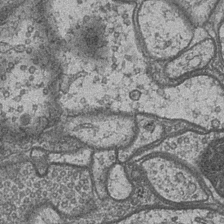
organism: Drosophila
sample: Optic medulla